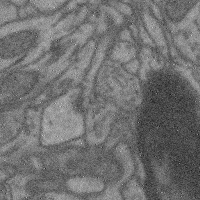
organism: Mouse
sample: Cerebral cortex